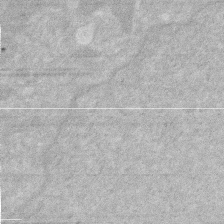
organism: Human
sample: HIV infected U937 cells